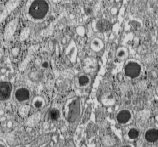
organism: C57BL Mouse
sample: Pancreatic islet